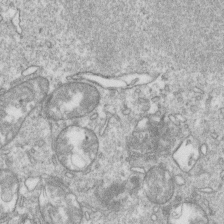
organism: Mouse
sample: Activated OT-1 CD8+ T cells